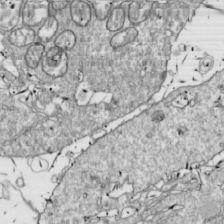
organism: Drosophila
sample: Cell division; meiosis; drosophila spermatocytes